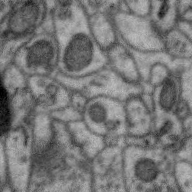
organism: Zebra finch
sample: Brain